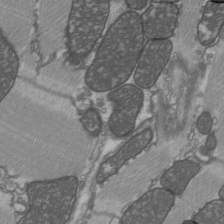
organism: C57BL Mouse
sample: Heart